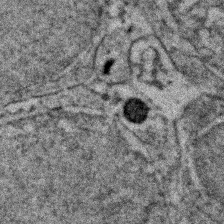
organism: Zebrafish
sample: Zebrafish embryo